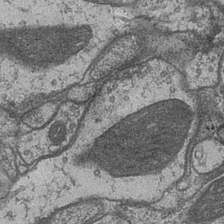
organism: Drosophila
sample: Optic medulla